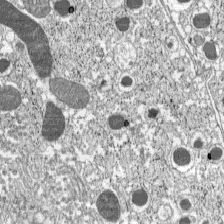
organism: C57BL Mouse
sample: Pancreatic islet